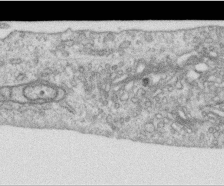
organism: Human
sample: Centriole in RPE cells